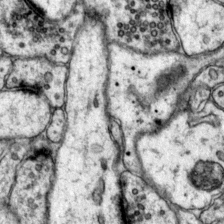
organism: Mouse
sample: Primary visual cortex